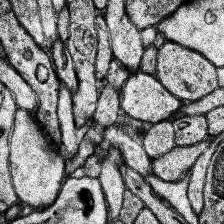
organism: Human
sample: Temporal Lobe